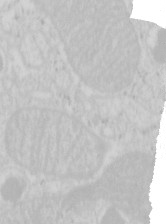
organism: Mouse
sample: Pancreas